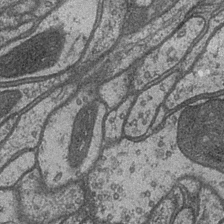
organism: Drosophila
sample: Optic medulla